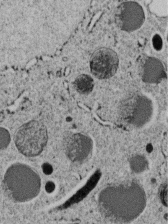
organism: C. elegans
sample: C. elegans embryo early stage